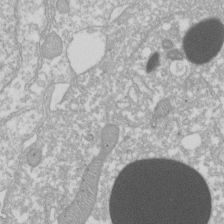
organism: Xenopus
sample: Cilia; centrioles in frog embryo cells